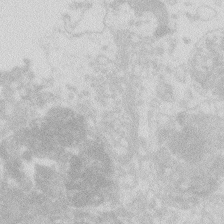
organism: Zebrafish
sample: Macrophage